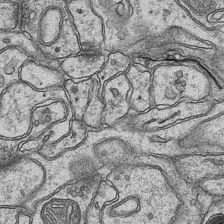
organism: Mouse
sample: CA1 Hippocampus